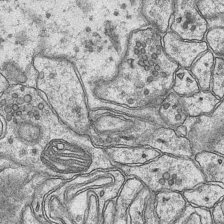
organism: Mouse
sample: CA1 Hippocampus